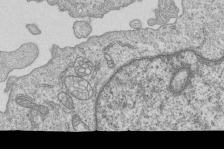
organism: Human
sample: MDA-MB-231 cells